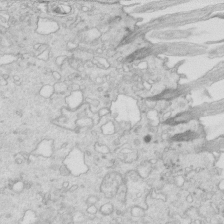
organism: Mouse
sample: Multiciliated cells